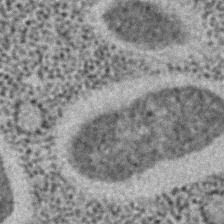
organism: C. elegans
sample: C. elegans embryo